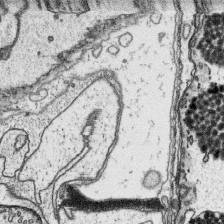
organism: Platynereis dumerilii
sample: Parapodia